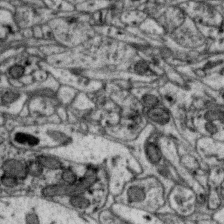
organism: Zebra finch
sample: Brain